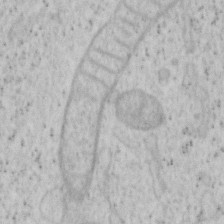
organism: Human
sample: HeLa cells